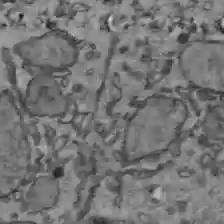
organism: C57BL Mouse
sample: Liver